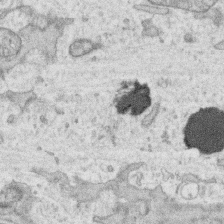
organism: Human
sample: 1205lu cells